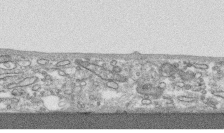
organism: Human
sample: CRL-1474